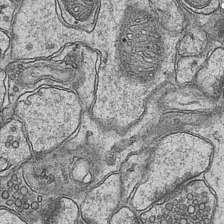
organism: Mouse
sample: CA1 Hippocampus